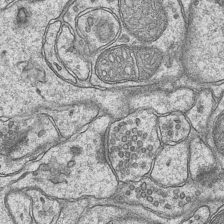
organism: Mouse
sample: CA1 Hippocampus